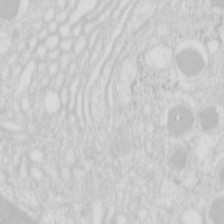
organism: Mouse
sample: Pancreas